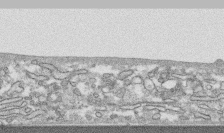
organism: Human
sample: CRL-1474